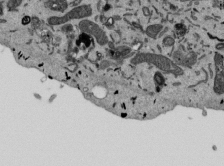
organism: Mouse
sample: ED-1 cell nuclei; centrioles